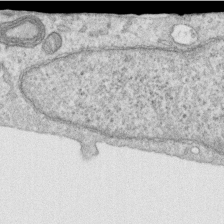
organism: Human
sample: Centriole in RPE cells